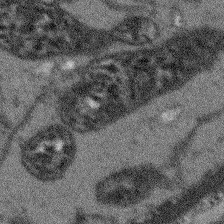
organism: Arabidopsis thaliana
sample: Root tip